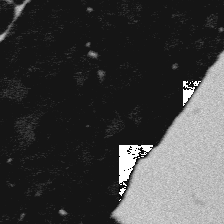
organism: Platynereis dumerilii